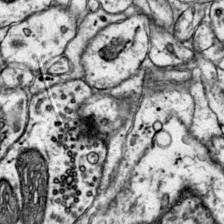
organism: Mouse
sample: Primary visual cortex